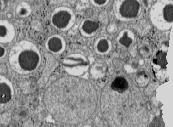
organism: C57BL Mouse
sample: Pancreatic islet